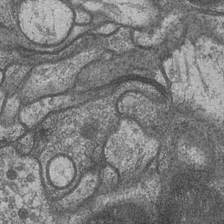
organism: Drosophila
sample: Optic medulla